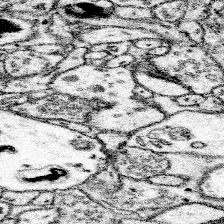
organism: Mouse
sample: Somatosensory cortex neuropil